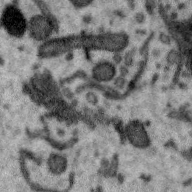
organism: Zebra finch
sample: Brain